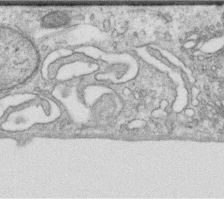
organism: Human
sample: Centriole in RPE cells